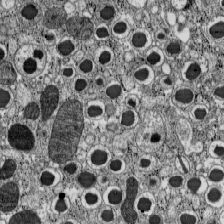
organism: C57BL Mouse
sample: Pancreatic islet